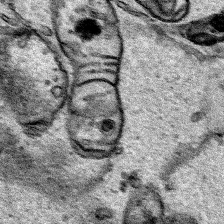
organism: Human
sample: Mitochondria in HCT116 cells